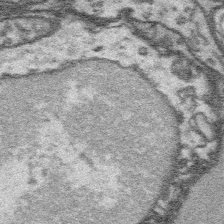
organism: Platynereis dumerilii